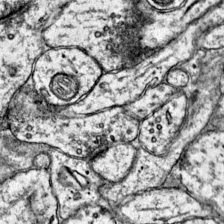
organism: Mouse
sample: Primary visual cortex